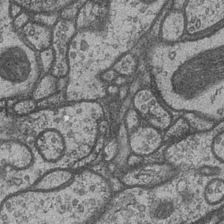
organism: Drosophila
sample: Optic medulla